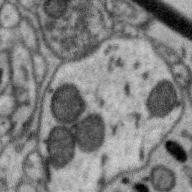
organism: Zebra finch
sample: Brain